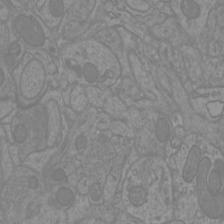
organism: Mouse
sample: Cortical neurons